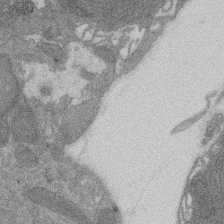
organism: Rat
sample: Salivary granule